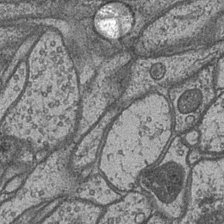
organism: Drosophila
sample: Optic medulla